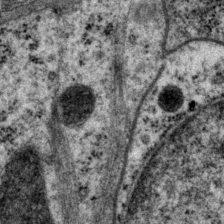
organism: P. pacificus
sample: Pharynx